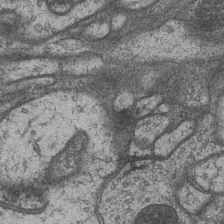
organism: Drosophila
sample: Optic medulla